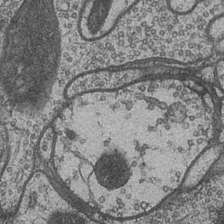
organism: Drosophila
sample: Optic medulla